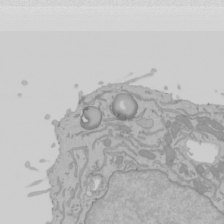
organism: Mouse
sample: Cancer cell death in ED-1 cells